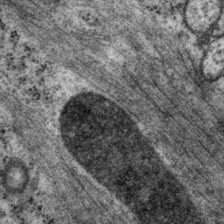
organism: P. pacificus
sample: Pharynx